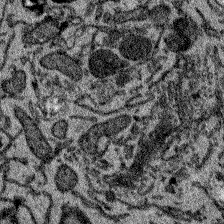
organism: Zebrafish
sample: Larval olfactory bulb